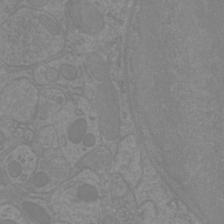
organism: Mouse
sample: Cortical neurons